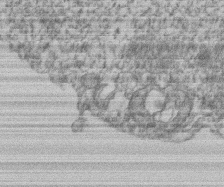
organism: Mouse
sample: T cell stromal cell synapse